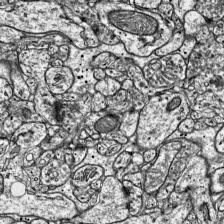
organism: Mouse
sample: Visual Cortex